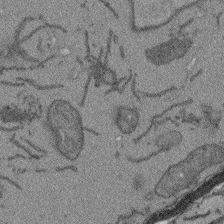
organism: Arabidopsis thaliana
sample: Root tip